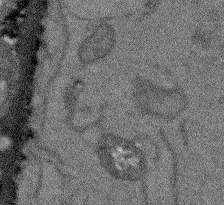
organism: Arabidopsis thaliana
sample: Root tip